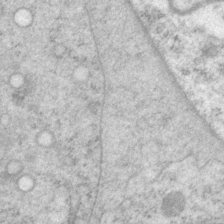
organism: P. pacificus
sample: Pharynx